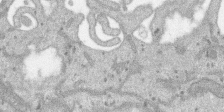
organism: Human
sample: Lung epithelial cells infected with SARS-CoV-2